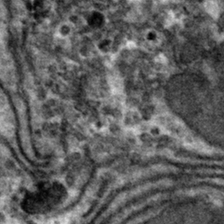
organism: Mouse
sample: Mouse hepatocytes